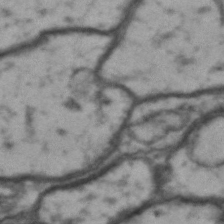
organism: Drosophila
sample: Brain